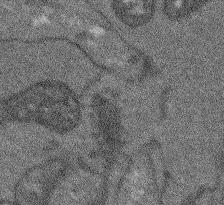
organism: Arabidopsis thaliana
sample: Root tip